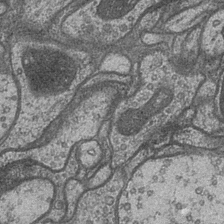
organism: Drosophila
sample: Optic medulla